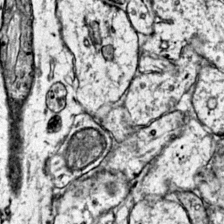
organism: Mouse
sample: Primary visual cortex